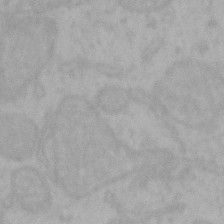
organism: Mouse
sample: Choroid plexus